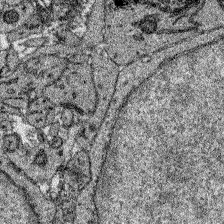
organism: Zebrafish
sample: Larval olfactory bulb